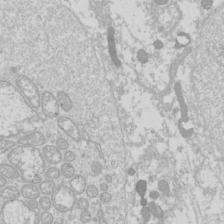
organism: Drosophila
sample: Cell division; meiosis; drosophila spermatocytes